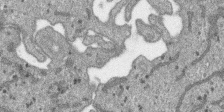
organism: Human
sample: Lung epithelial cells infected with SARS-CoV-2